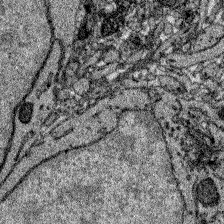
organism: Zebrafish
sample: Larval olfactory bulb